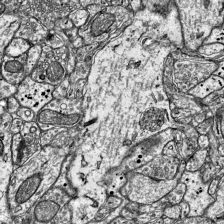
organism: Mouse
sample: Visual Cortex